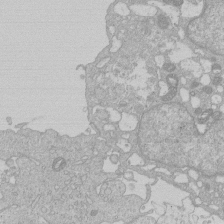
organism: Human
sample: Macrophage cells